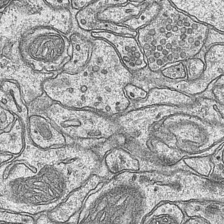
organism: Mouse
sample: CA1 Hippocampus